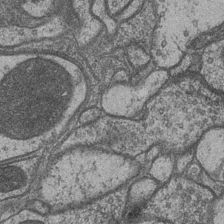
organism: Drosophila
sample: Optic medulla